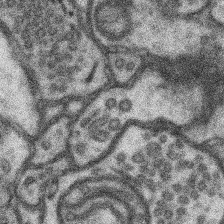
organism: Mouse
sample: Somatosensory cortex neuropil